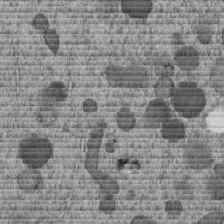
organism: C. elegans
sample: C. elegans embryo early stage